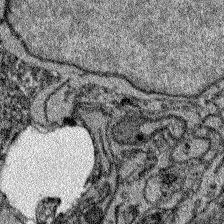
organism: Zebrafish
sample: Larval olfactory bulb